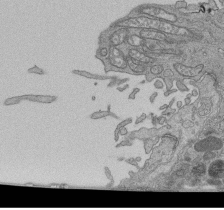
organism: Human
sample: Retinal organoid Rod and Cone cells